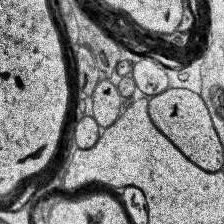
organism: Human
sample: Temporal Lobe